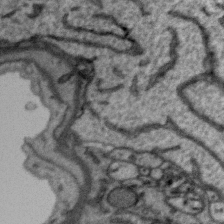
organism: Zebra finch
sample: Brain